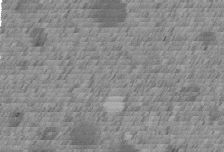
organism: C. elegans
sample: C. elegans embryo early stage